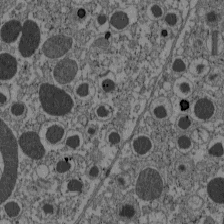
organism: C57BL Mouse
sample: Pancreatic islet